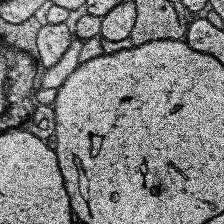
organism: Human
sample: Temporal Lobe